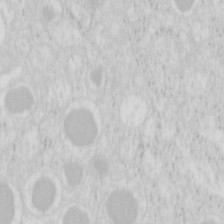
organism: Mouse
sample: Pancreas